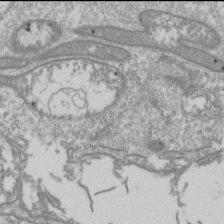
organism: Drosophila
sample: Cell division; meiosis; drosophila spermatocytes